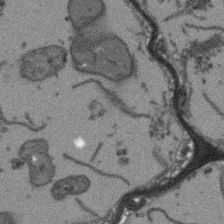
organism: Arabidopsis thaliana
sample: Root tip